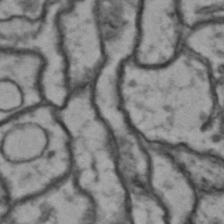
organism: Drosophila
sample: Brain